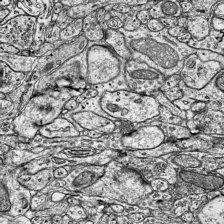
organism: Mouse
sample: Visual Cortex